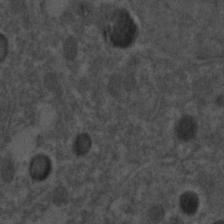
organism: C. elegans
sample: C. elegans embryo